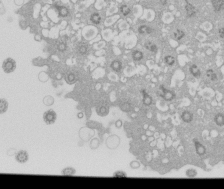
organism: Xenopus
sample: Cilia; centrioles in frog embryo cells